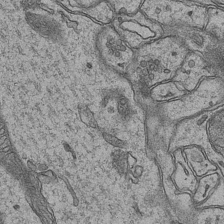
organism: Mouse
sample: CA1 Hippocampus